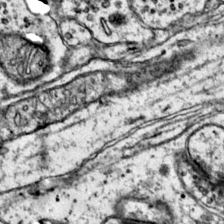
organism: Mouse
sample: Primary visual cortex